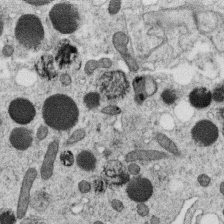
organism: C. elegans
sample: C. elegans oocyte; sperm cells